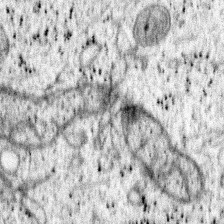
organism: Human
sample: HeLa cells